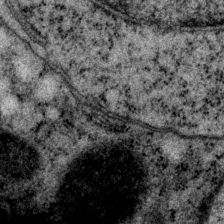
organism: P. pacificus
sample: Pharynx